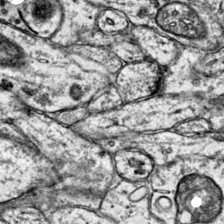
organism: Mouse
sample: Primary visual cortex